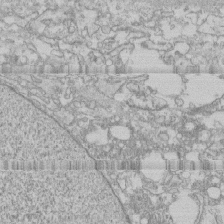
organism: Human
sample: CRL-1474